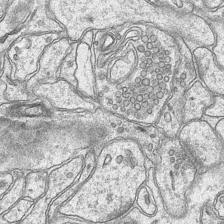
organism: Mouse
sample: CA1 Hippocampus